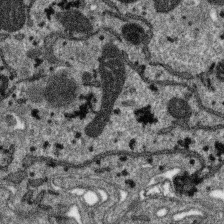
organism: Human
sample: Lung epithelial cells infected with SARS-CoV-2